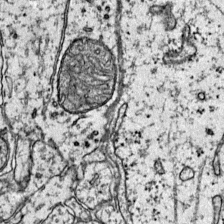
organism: Mouse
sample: Primary visual cortex